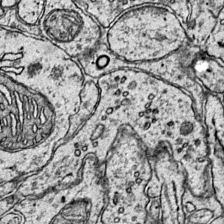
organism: Mouse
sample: Primary visual cortex